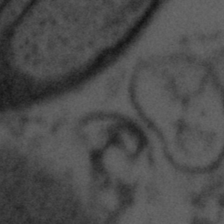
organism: Tuwongella immobilis